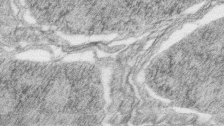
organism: Zebrafish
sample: synaptic ribbons in rod cells and cone cells